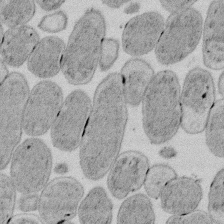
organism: E. coli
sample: Bacterial nucleoid